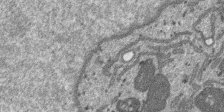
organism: Human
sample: Lung epithelial cells infected with SARS-CoV-2